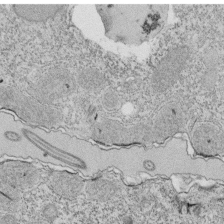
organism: Tetrahymena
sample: Cilia in tetrahymena